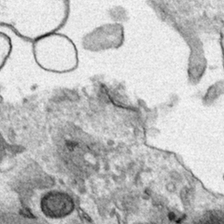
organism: Human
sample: Mitochondria in HCT116 cells